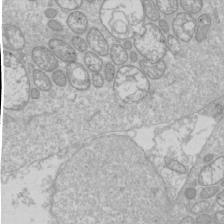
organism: Drosophila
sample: Cell division; meiosis; drosophila spermatocytes